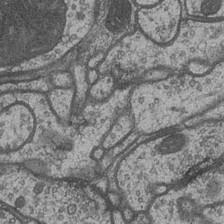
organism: Drosophila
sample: Optic medulla